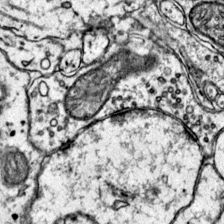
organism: Mouse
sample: Primary visual cortex